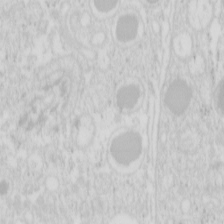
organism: Mouse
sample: Pancreas